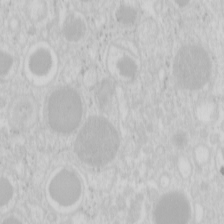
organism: Mouse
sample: Pancreas